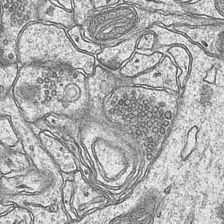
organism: Mouse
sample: CA1 Hippocampus